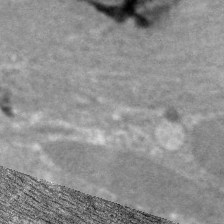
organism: C. elegans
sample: Pharynx